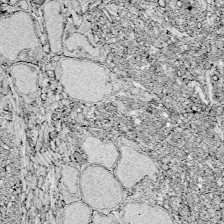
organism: Zebrafish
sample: Whole-Brain